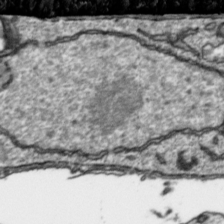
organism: Toxoplasma gondii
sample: Parasites in a vacuole inside a host cell